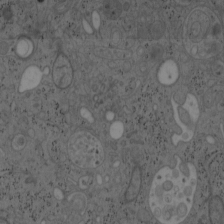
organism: Mouse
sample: OT-I killer T cells with ID8 ovarian cancer cells